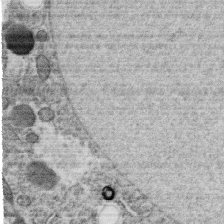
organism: C. elegans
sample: C. elegans oocyte; sperm cells